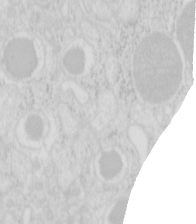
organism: Mouse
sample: Pancreas